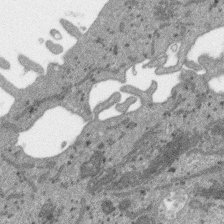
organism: Human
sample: Lung epithelial cells infected with SARS-CoV-2